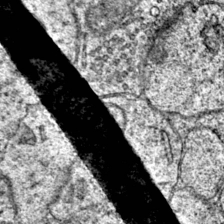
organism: Mouse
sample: Primary visual cortex